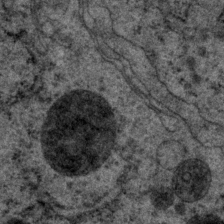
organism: P. pacificus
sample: Pharynx